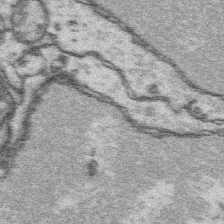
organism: Platynereis dumerilii